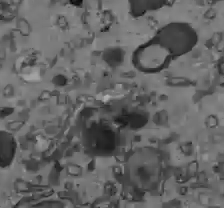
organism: C57BL Mouse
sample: Liver